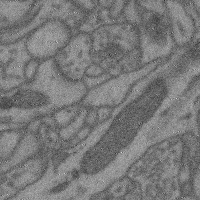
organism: Mouse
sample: Cerebral cortex